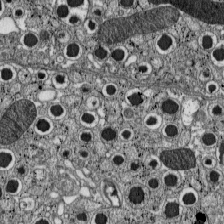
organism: C57BL Mouse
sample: Pancreatic islet